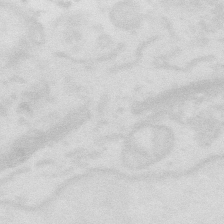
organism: Human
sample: HeLa cells